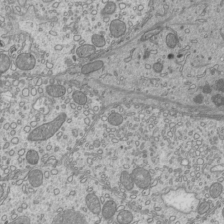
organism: Mouse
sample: Cilia; mouse epididymis